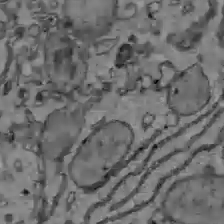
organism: C57BL Mouse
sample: Liver